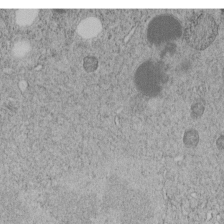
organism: C. elegans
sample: C. elegans embryo early stage